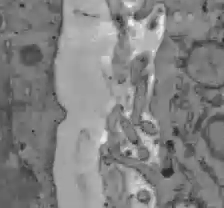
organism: C57BL Mouse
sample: Liver